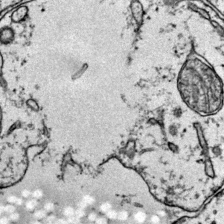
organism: Mouse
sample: Primary visual cortex